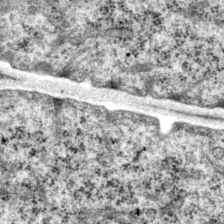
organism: P. pacificus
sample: Pharynx